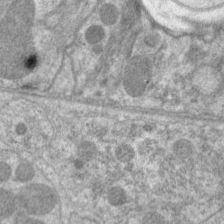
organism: C. elegans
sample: Pharynx